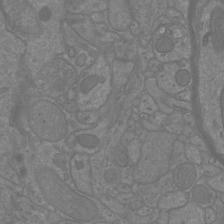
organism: Mouse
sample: Cortical neurons